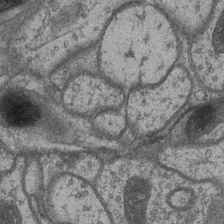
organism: Drosophila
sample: Optic medulla